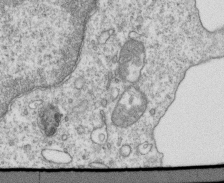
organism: Mouse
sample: Activated OT-1 CD8+ T cells